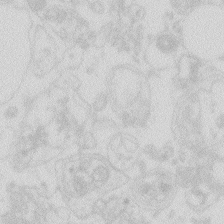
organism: Zebrafish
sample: Macrophage